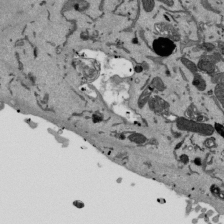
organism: Mouse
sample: ED-1 cell nuclei; centrioles